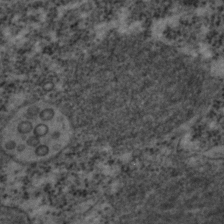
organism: C. elegans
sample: C. elegans embryo